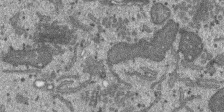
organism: Human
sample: Lung epithelial cells infected with SARS-CoV-2